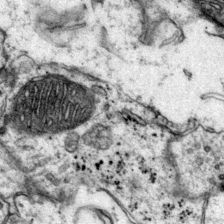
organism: Mouse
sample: Primary visual cortex